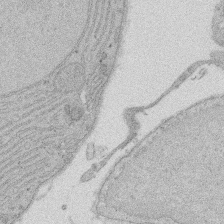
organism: Rat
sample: Salivary granule